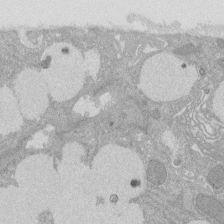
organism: Rat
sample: Salivary granule